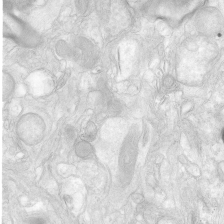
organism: Human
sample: Neocortex